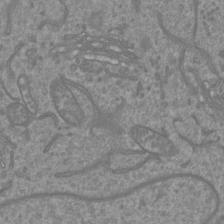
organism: Mouse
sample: Cortical neurons